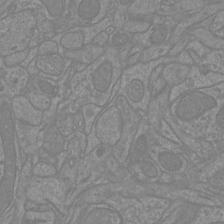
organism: Mouse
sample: Cortical neurons